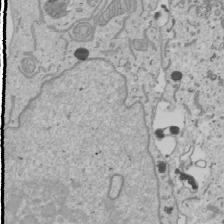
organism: Human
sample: Mitochondria in U2OS cells